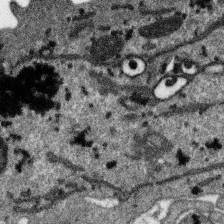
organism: Human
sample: Lung epithelial cells infected with SARS-CoV-2